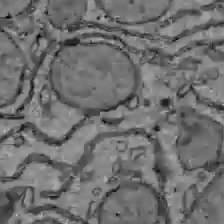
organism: C57BL Mouse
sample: Liver